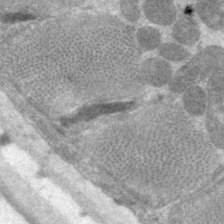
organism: C. elegans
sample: Pharynx